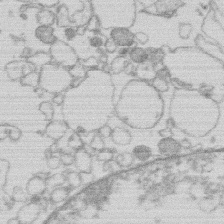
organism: Human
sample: Macrophage cells